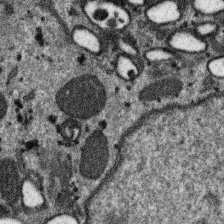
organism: Human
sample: Lung epithelial cells infected with SARS-CoV-2